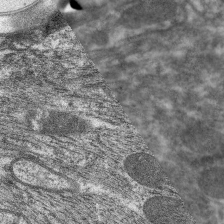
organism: C. elegans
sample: Pharynx